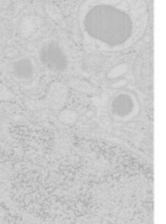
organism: Mouse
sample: Pancreas